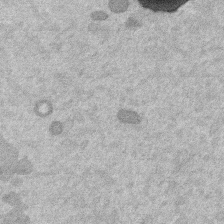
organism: Mouse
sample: Dividing mouse embryo 1 cell stage